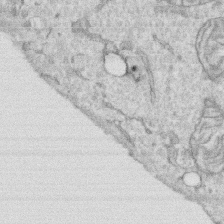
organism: Human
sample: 1205lu cells